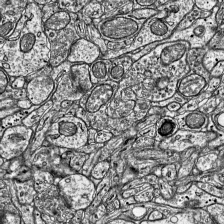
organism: Mouse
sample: Visual Cortex